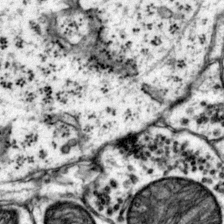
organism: Mouse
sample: Primary visual cortex